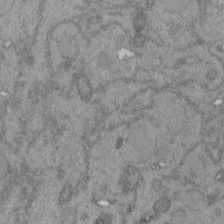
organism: C. elegans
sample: C. elegans embryo early stage